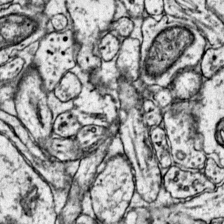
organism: Mouse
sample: Primary visual cortex